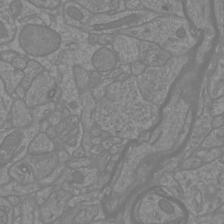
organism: Mouse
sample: Cortical neurons